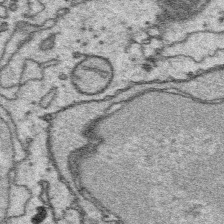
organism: Platynereis dumerilii